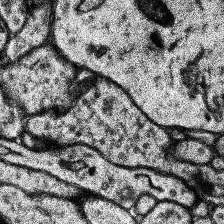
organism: Human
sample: Temporal Lobe